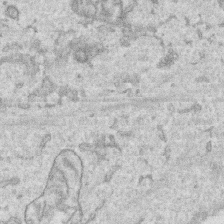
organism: Human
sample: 1205lu cells